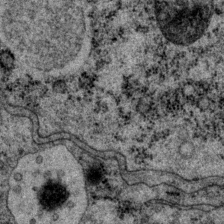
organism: P. pacificus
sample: Pharynx